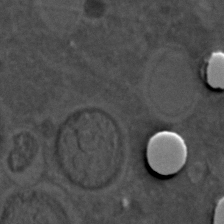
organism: C. elegans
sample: C. elegans embryo